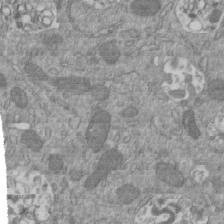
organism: Mouse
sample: ED-1 cell nuclei; centrioles